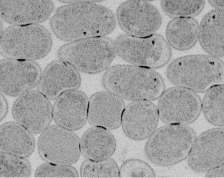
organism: E. coli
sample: Bacterial nucleoid